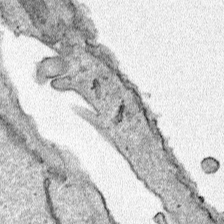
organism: Human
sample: Mitochondria in HCT116 cells